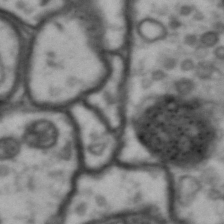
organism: Drosophila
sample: Brain